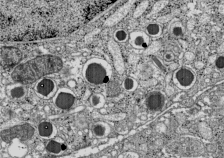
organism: C57BL Mouse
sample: Pancreatic islet